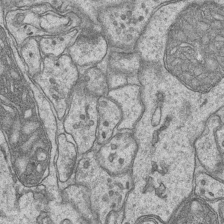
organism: Mouse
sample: CA1 Hippocampus